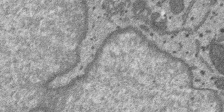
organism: Human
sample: Lung epithelial cells infected with SARS-CoV-2